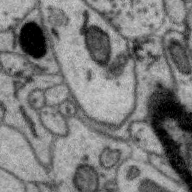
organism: Zebra finch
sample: Brain